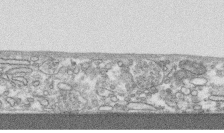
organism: Human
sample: CRL-1474